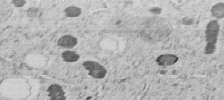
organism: C. elegans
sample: C. elegans embryo early stage